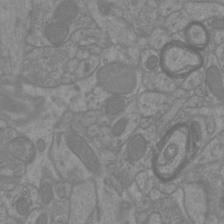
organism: Mouse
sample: Cortical neurons